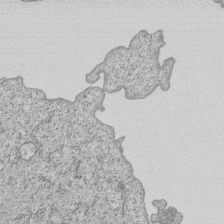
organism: Human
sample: MDA-MB-231 cells